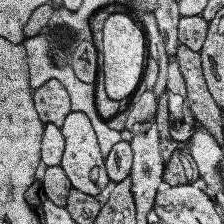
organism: Human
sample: Temporal Lobe